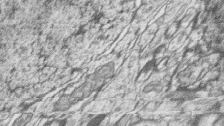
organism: Zebrafish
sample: synaptic ribbons in rod cells and cone cells